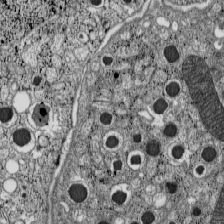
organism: C57BL Mouse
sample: Pancreatic islet